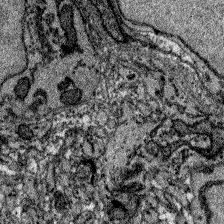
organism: Zebrafish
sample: Larval olfactory bulb